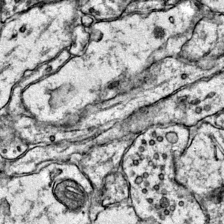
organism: Mouse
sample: Primary visual cortex